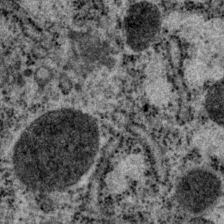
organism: P. pacificus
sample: Pharynx